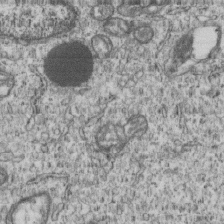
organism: Human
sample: MDA-MB-231 cells